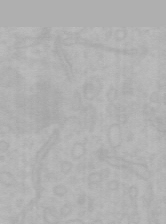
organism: Mouse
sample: Choroid plexus